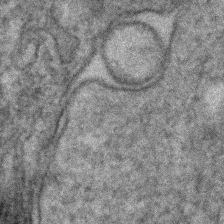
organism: Human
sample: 1205lu cells